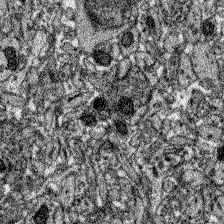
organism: Zebrafish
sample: Larval olfactory bulb